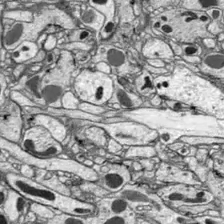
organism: Drosophila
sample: Optic lobe